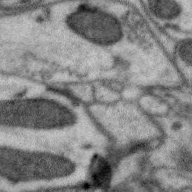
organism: Zebra finch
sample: Brain